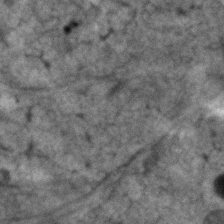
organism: Human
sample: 1205lu cells